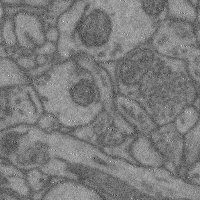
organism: Mouse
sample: Cerebral cortex